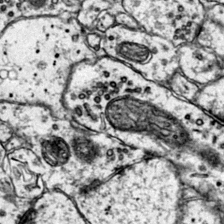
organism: Mouse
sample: Primary visual cortex